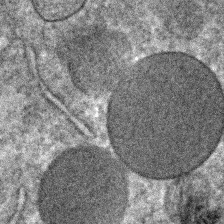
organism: C. elegans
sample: C. elegans embryo